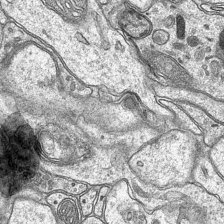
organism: Mouse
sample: CA1 Hippocampus